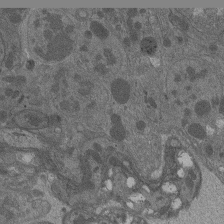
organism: Drosophila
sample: Antenna